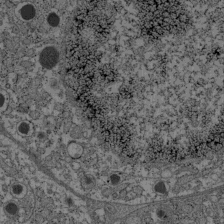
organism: C57BL Mouse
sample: Pancreatic islet